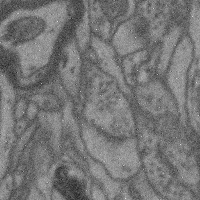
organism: Mouse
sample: Cerebral cortex